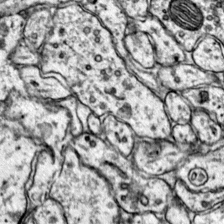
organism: Mouse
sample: Primary visual cortex